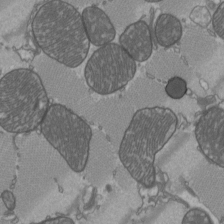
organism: C57BL Mouse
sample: Heart